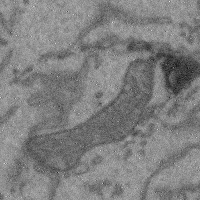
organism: Mouse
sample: Cerebral cortex